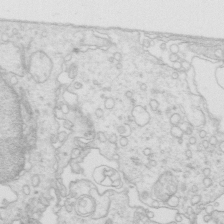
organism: Mouse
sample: Multiciliated cells